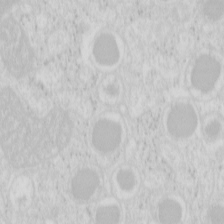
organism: Mouse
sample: Pancreas